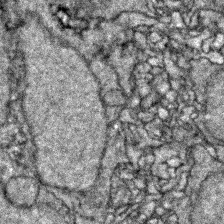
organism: Zebrafish